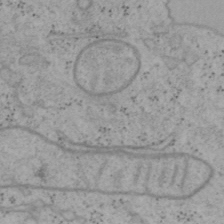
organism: Human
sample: HeLa cells